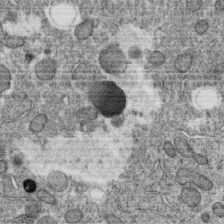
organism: C. elegans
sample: C. elegans oocyte; sperm cells